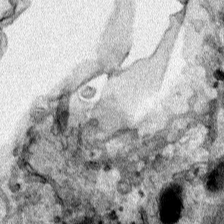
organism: Human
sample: Mitochondria in HCT116 cells